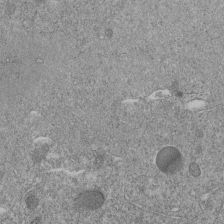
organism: C. elegans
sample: C. elegans embryo early stage